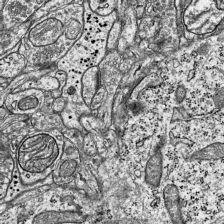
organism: Mouse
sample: Visual Cortex